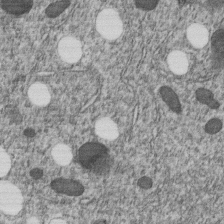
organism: C. elegans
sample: C. elegans embryo early stage